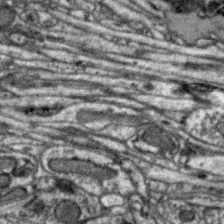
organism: Zebra finch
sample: Brain